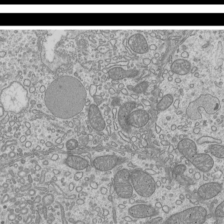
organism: Mouse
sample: Cilia; mouse epididymis